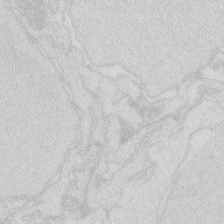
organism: Zebrafish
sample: Macrophage